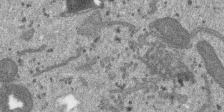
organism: Human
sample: Lung epithelial cells infected with SARS-CoV-2